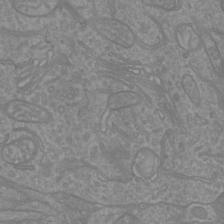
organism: Mouse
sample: Cortical neurons